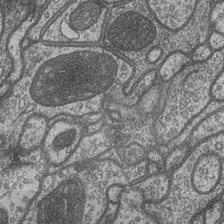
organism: Drosophila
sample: Optic medulla